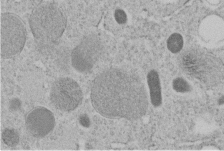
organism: C. elegans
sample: C. elegans embryo early stage